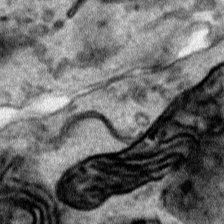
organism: Human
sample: Mitochondria in HCT116 cells